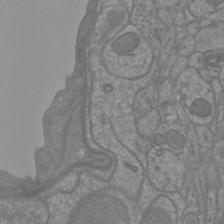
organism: Mouse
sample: Cortical neurons